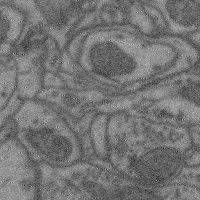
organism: Mouse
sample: Cerebral cortex